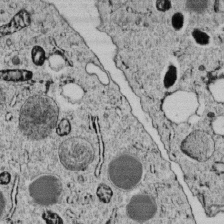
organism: C. elegans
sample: C. elegans embryo early stage